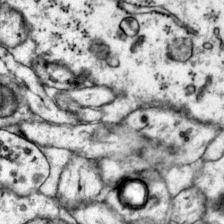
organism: Mouse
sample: Primary visual cortex